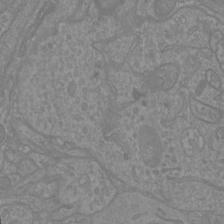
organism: Mouse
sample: Cortical neurons